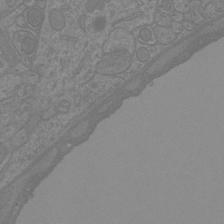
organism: Mouse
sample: Cortical neurons